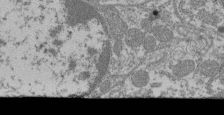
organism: Mouse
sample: Glomerulus